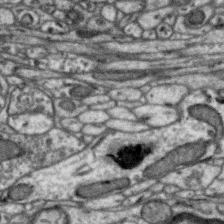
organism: Zebra finch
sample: Brain